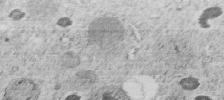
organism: C. elegans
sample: C. elegans embryo early stage